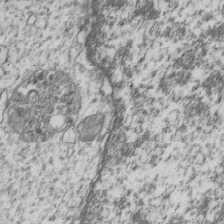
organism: Human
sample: MDA-MB-231 cells